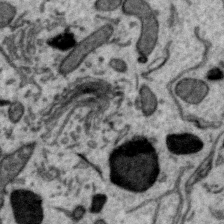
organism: Zebra finch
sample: Brain